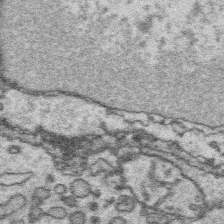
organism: Platynereis dumerilii